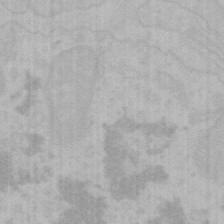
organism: Mouse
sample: Choroid plexus